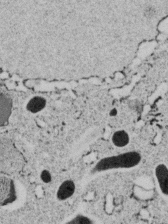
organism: C. elegans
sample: C. elegans embryo early stage